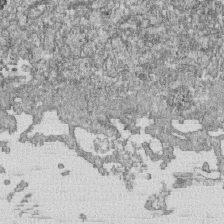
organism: Human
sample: HeLa cell HIV synapse